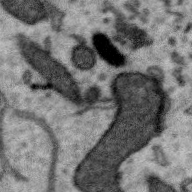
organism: Zebra finch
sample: Brain